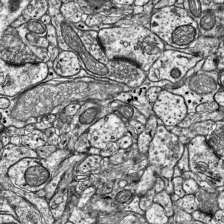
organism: Mouse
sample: Visual Cortex